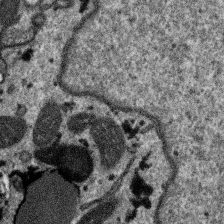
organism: Human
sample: Lung epithelial cells infected with SARS-CoV-2